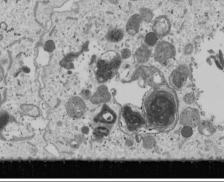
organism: Human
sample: Mitochondria in U2OS cells